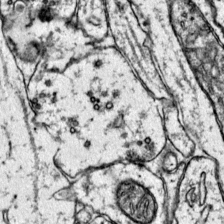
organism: Mouse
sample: Primary visual cortex